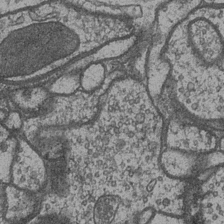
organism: Drosophila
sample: Optic medulla